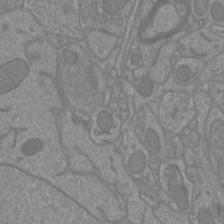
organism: Mouse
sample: Cortical neurons